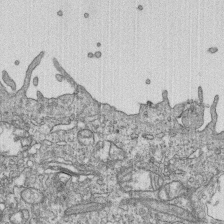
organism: Human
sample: HeLa cell HIV synapse